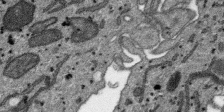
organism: Human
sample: Lung epithelial cells, uninfected (mock) control